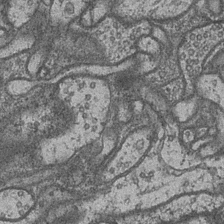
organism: Drosophila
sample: Optic medulla